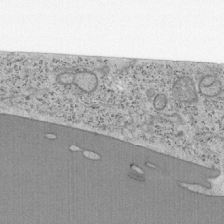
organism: Human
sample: HeLa cells